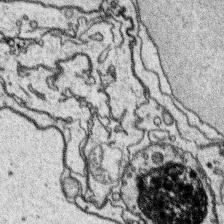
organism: Platynereis dumerilii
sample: Parapodia